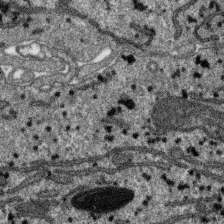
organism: Human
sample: Lung epithelial cells infected with SARS-CoV-2